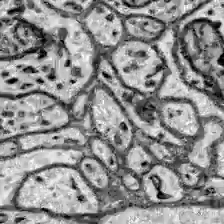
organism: Zebrafish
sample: Brain